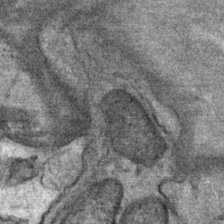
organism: Mouse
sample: Mouse Salivary gland